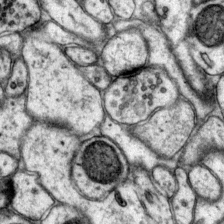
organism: Mouse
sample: Primary visual cortex